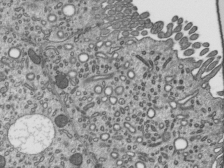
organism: Mouse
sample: Mouse epididymis efferent ductule cilia